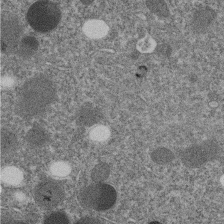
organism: C. elegans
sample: C. elegans embryo early stage